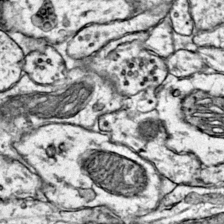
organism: Mouse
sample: Primary visual cortex